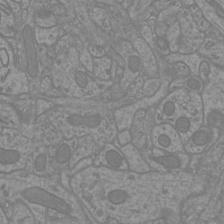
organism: Mouse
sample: Cortical neurons